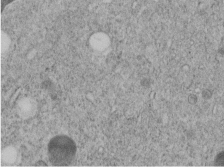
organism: C. elegans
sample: C. elegans embryo early stage